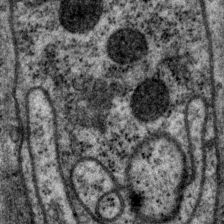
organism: P. pacificus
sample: Pharynx